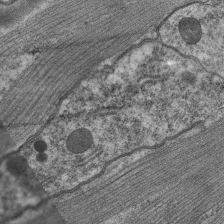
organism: C. elegans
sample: Pharynx